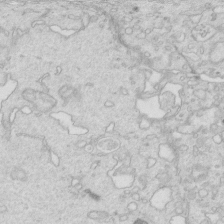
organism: Mouse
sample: Multiciliated cells